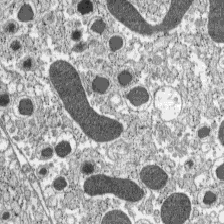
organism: C57BL Mouse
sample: Pancreatic islet